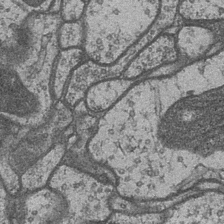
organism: Drosophila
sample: Optic medulla